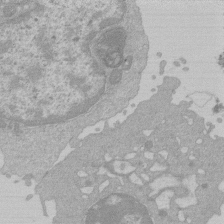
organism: Mouse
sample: Activated Pmel transgenic CD8+ T Cells